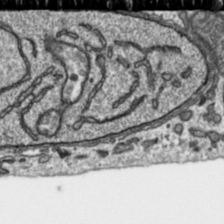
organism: Toxoplasma gondii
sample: Parasites in a vacuole inside a host cell